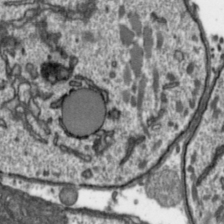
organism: Toxoplasma gondii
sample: Parasites in a vacuole inside a host cell